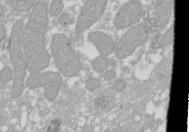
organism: Xenopus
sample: Cilia; centrioles in frog embryo cells